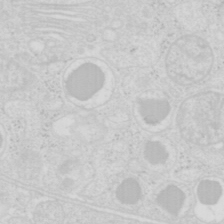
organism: Mouse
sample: Pancreas